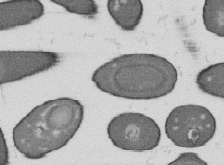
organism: B. subtilis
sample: Bacterial spore